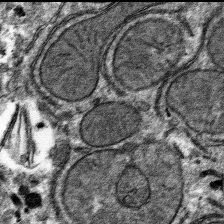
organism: Mouse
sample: Mouse hepatocytes